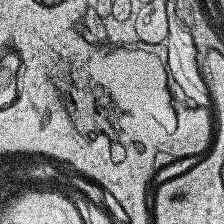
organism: Human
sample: Temporal Lobe